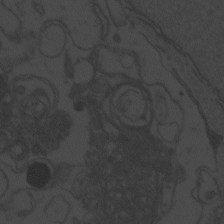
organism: Zebrafish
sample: Macrophage infected with Toxoplasma gondii